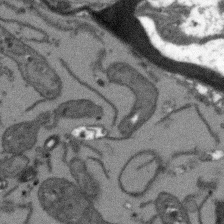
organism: Arabidopsis thaliana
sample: Root tip